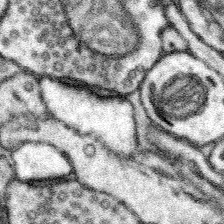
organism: Mouse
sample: Somatosensory cortex neuropil